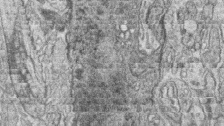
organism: Zebrafish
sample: synaptic ribbons in rod cells and cone cells